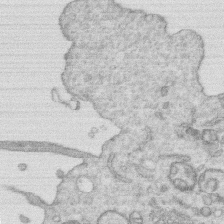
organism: Human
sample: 1205lu cells